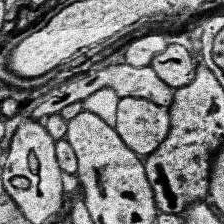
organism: Human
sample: Temporal Lobe